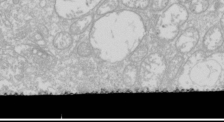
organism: Drosophila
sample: Cell division; meiosis; drosophila spermatocytes